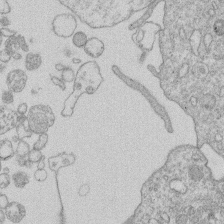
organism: Human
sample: Macrophage cells